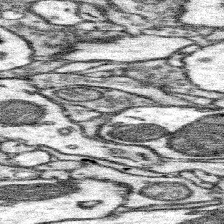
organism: Mouse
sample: Somatosensory cortex neuropil